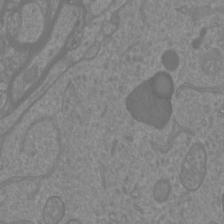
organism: Mouse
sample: Cortical neurons